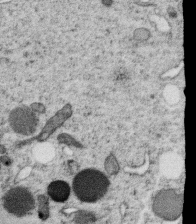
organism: C. elegans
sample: C. elegans oocyte; sperm cells